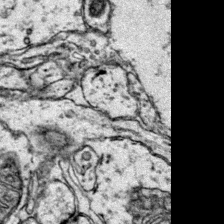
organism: Mouse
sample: Primary visual cortex